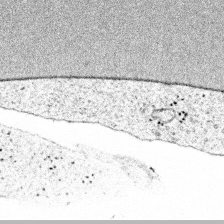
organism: Human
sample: HeLa cells